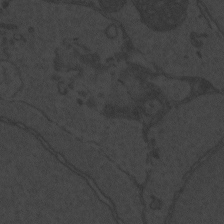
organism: Zebrafish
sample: Macrophage infected with Toxoplasma gondii